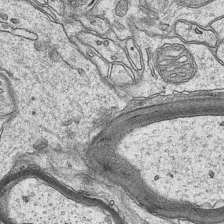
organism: Mouse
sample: CA1 Hippocampus